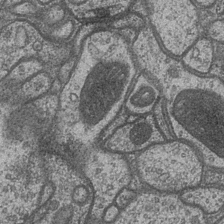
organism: Drosophila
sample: Optic medulla